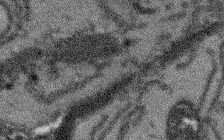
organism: Arabidopsis thaliana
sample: Root tip